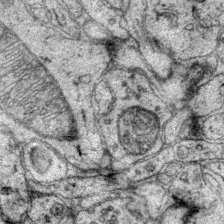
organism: Mouse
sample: Primary visual cortex